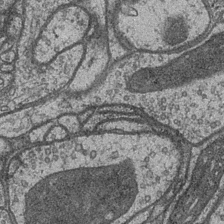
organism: Drosophila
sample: Optic medulla